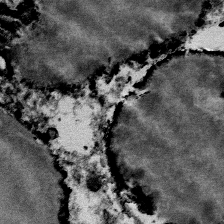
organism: Mouse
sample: Mouse Salivary gland